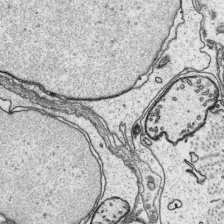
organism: Platynereis dumerilii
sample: Parapodia